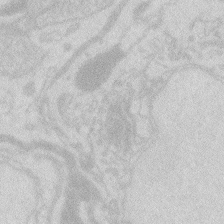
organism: Zebrafish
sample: Macrophage